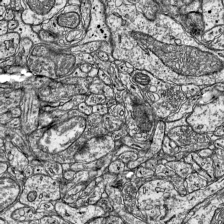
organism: Mouse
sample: Visual Cortex